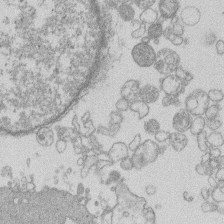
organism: Human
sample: Macrophage cells